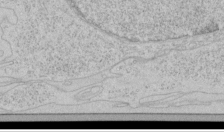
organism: Human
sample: Mitochondria in HCT116 cells